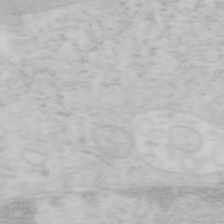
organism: Mouse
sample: OT-I killer T cells with ID8 ovarian cancer cells